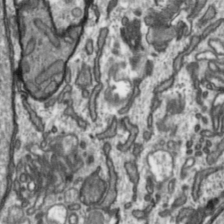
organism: Toxoplasma gondii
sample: Parasites in a vacuole inside a host cell